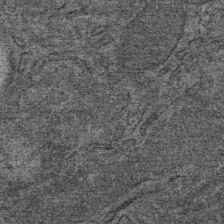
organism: Mouse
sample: Mouse Salivary gland